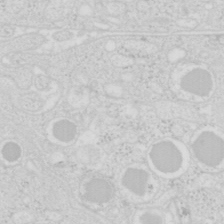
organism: Mouse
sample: Pancreas